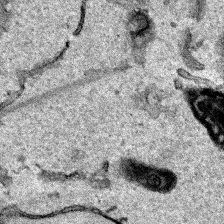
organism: Human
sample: Mitochondria in HCT116 cells